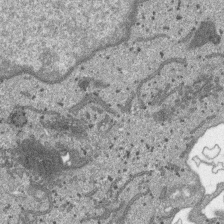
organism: Human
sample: Lung epithelial cells infected with SARS-CoV-2